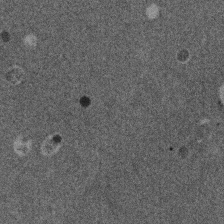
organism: Mouse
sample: Dividing mouse embryo 1 cell stage